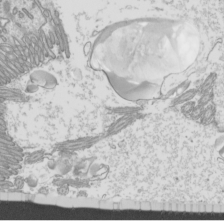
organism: Mouse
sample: Cilia; mouse epididymis